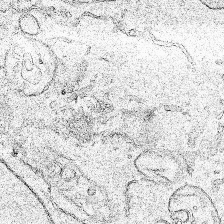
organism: Human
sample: Mitochondria in HCT116 cells